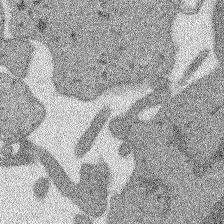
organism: Human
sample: HeLa cells